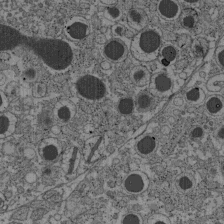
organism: C57BL Mouse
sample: Pancreatic islet